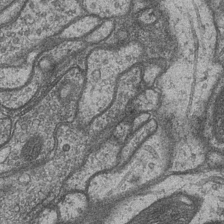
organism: Drosophila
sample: Optic medulla